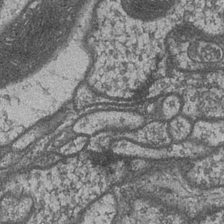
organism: Drosophila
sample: Optic medulla